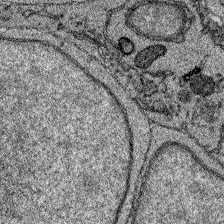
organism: Zebrafish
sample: Larval olfactory bulb